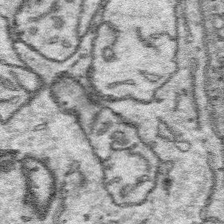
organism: Platynereis dumerilii